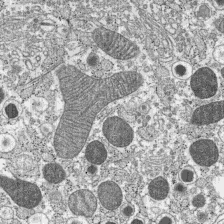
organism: C57BL Mouse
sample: Pancreatic islet